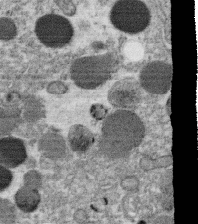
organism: C. elegans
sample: C. elegans oocyte; sperm cells